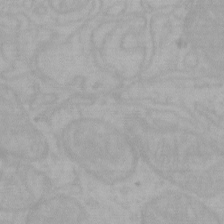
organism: Mouse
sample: Choroid plexus